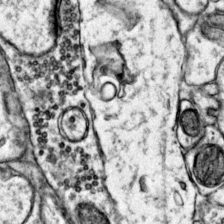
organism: Mouse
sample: Primary visual cortex